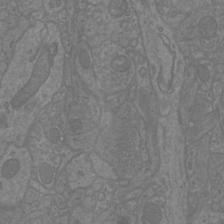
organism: Mouse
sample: Cortical neurons